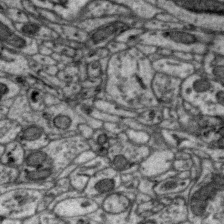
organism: Zebra finch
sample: Brain